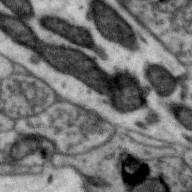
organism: Zebra finch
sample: Brain